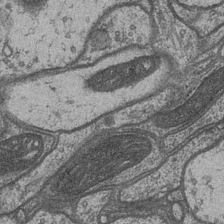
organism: Drosophila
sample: Optic medulla